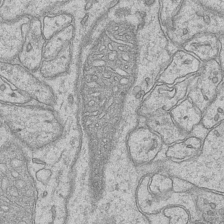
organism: Mouse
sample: CA1 Hippocampus